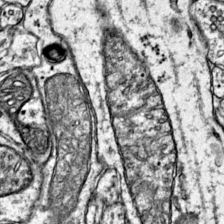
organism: Mouse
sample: Primary visual cortex